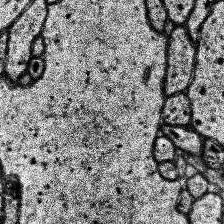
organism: Human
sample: Temporal Lobe